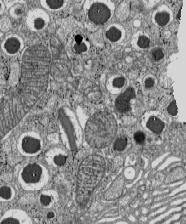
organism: C57BL Mouse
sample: Pancreatic islet